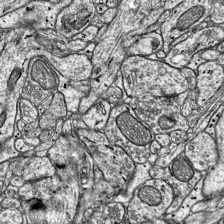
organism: Mouse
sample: Visual Cortex